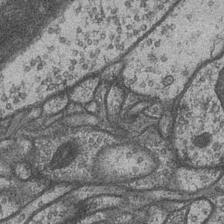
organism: Drosophila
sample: Optic medulla